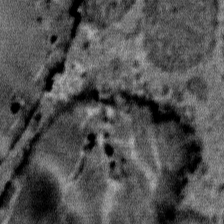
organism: Mouse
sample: Mouse Salivary gland